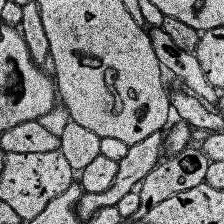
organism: Human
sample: Temporal Lobe